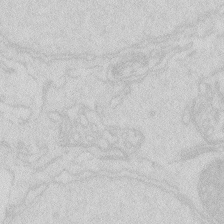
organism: Zebrafish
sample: Macrophage